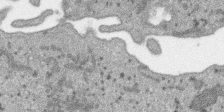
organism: Human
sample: Lung epithelial cells infected with SARS-CoV-2